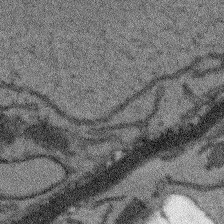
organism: Arabidopsis thaliana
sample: Root tip